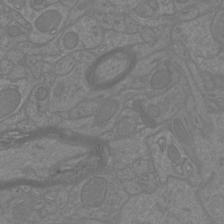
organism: Mouse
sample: Cortical neurons